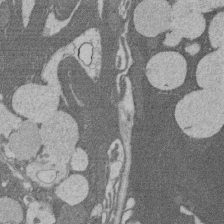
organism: Rat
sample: Salivary granule